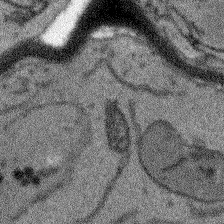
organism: Arabidopsis thaliana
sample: Root tip